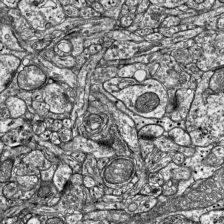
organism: Mouse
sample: Visual Cortex